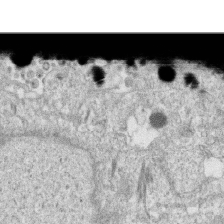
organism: Human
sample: HeLa cell HIV synapse